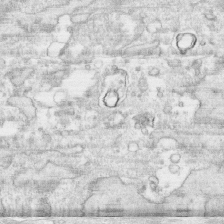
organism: Human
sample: CRL-1474